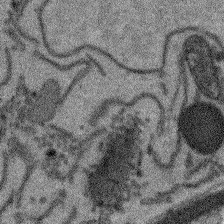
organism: Arabidopsis thaliana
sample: Root tip